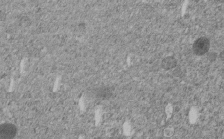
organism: C. elegans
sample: C. elegans embryo early stage